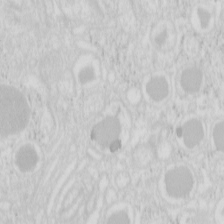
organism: Mouse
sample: Pancreas